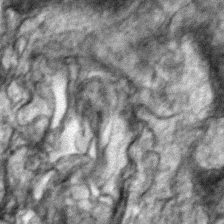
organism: Zebrafish